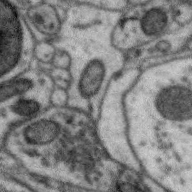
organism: Zebra finch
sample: Brain